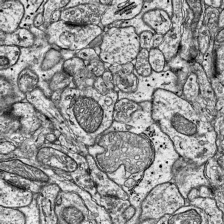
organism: Mouse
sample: Visual Cortex